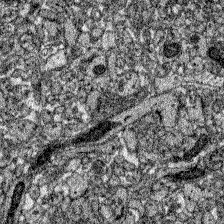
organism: Zebrafish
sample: Larval olfactory bulb